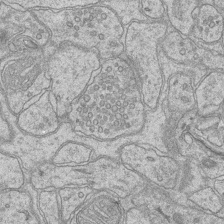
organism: Mouse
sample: CA1 Hippocampus